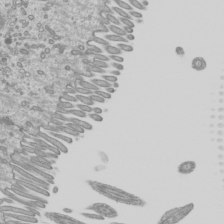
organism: Mouse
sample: Cilia; mouse epididymis